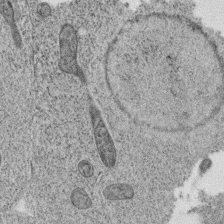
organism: C. elegans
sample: C. elegans oocyte; sperm cells